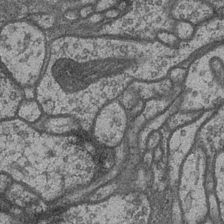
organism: Drosophila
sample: Optic medulla